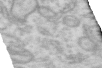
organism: Human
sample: Centriole in RPE cells